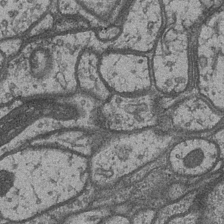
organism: Drosophila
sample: Optic medulla